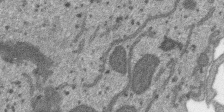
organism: Human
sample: Lung epithelial cells infected with SARS-CoV-2